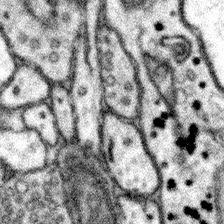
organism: Mouse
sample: Somatosensory cortex neuropil